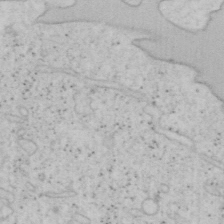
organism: Human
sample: HeLa cells